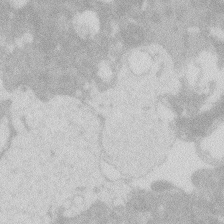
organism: Zebrafish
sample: Macrophage